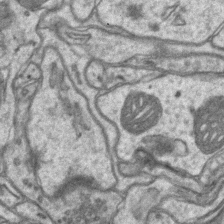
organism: Mouse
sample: CA1 Hippocampus